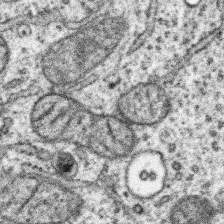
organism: Human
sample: HeLa cells